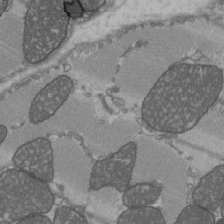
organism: C57BL Mouse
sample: Heart